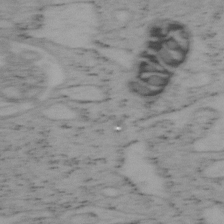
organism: Mouse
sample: OT-I killer T cells with ID8 ovarian cancer cells